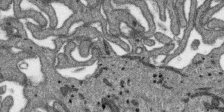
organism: Human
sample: Lung epithelial cells, uninfected (mock) control